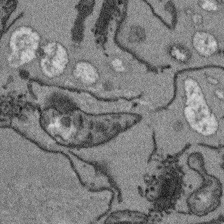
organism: Arabidopsis thaliana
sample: Root tip